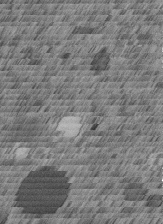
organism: C. elegans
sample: C. elegans embryo early stage